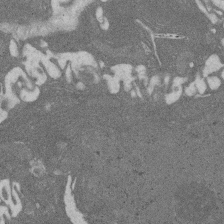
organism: Rat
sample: Salivary granule